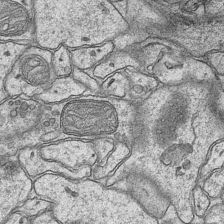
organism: Mouse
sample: CA1 Hippocampus